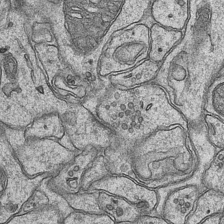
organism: Mouse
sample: CA1 Hippocampus